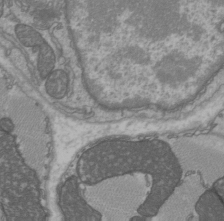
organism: C57BL Mouse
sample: Heart